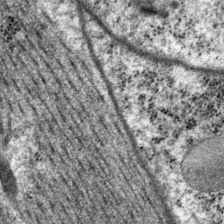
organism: P. pacificus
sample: Pharynx